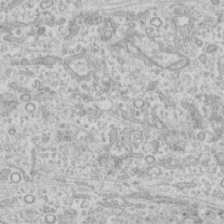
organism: Human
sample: CRL-1474